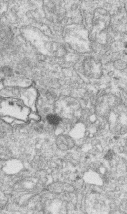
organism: Human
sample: HeLa cell HIV synapse